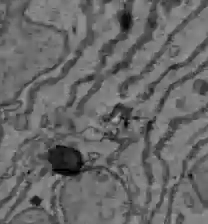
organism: C57BL Mouse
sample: Liver